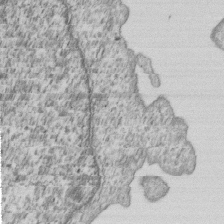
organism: Human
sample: MDA-MB-231 cells